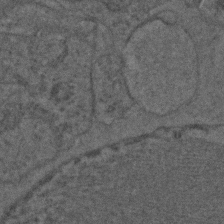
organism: C. elegans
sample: C. elegans embryo